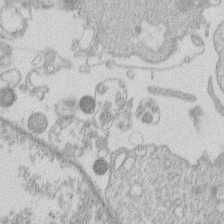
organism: Human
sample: Macrophage cells